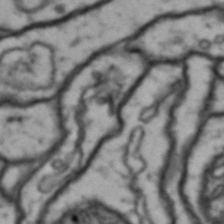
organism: Drosophila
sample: Brain